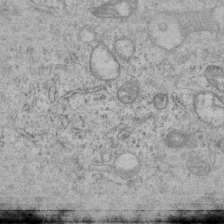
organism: Human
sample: MDA-MB-231 cells